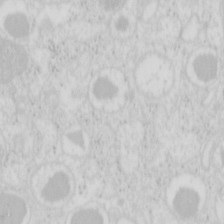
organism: Mouse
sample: Pancreas